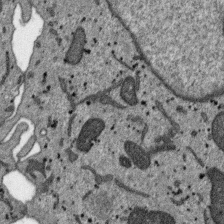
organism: Human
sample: Lung epithelial cells, uninfected (mock) control